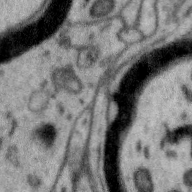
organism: Zebra finch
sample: Brain